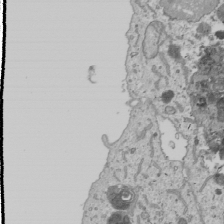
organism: Human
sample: Mitochondria in U2OS cells